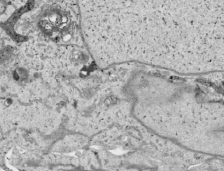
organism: Human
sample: Mitochondria in HCT116 cells